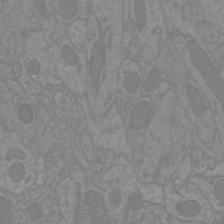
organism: Mouse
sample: Cortical neurons